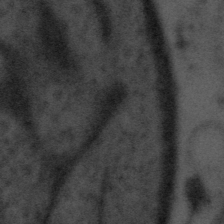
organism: Tuwongella immobilis